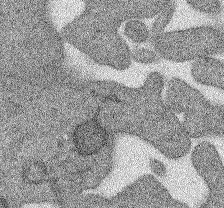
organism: Human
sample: HeLa cells